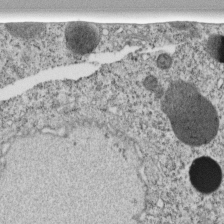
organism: C. elegans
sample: C. elegans embryo early stage